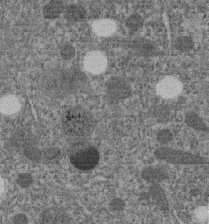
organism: C. elegans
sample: C. elegans embryo early stage